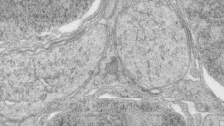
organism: Zebrafish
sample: synaptic ribbons in rod cells and cone cells